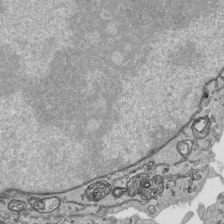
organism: Human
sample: Mitochondria in HCT116 cells